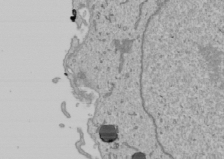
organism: Human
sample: Mitochondria in U2OS cells